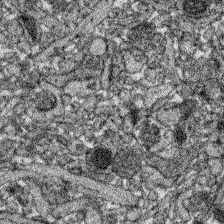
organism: Zebrafish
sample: Larval olfactory bulb